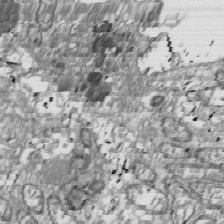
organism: Drosophila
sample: Cell division; meiosis; drosophila spermatocytes